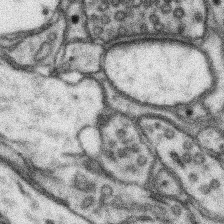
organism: Mouse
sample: Somatosensory cortex neuropil